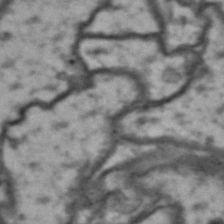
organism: Drosophila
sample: Brain